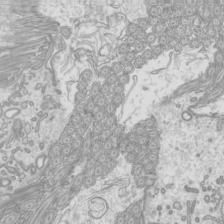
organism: Mouse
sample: Cilia; mouse epididymis